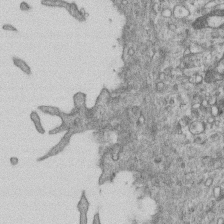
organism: Mouse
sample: Centriole in ependymal cells